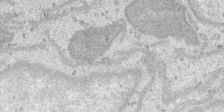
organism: Human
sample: Lung epithelial cells infected with SARS-CoV-2